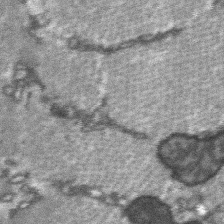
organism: C57BL Mouse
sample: Soleus